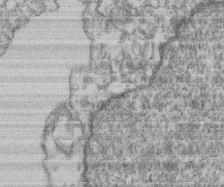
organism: Mouse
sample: T cell stromal cell synapse